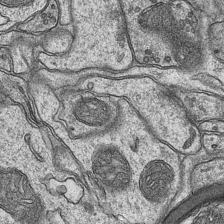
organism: Mouse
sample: CA1 Hippocampus